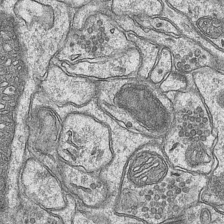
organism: Mouse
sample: CA1 Hippocampus